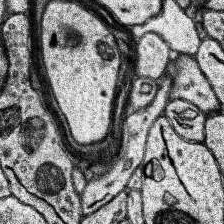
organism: Human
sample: Temporal Lobe